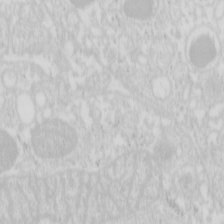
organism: Mouse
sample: Pancreas